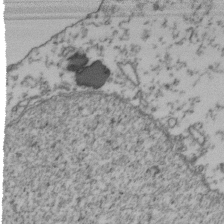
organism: Human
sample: Activated Jurkat CD4+ T cells